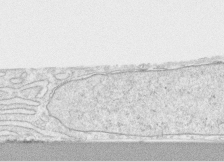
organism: Human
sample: CRL-1474